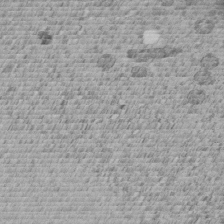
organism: C. elegans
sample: C. elegans embryo early stage